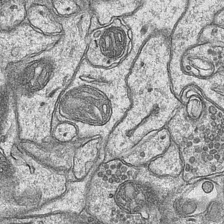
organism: Mouse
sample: CA1 Hippocampus